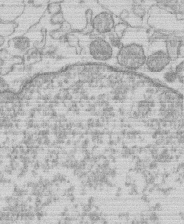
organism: Human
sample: Macrophage cells